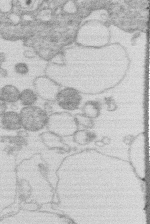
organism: Human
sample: Macrophage cells